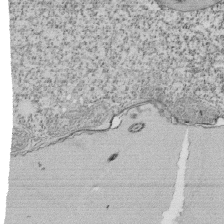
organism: Tetrahymena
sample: Cilia in tetrahymena